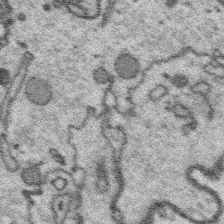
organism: Platynereis dumerilii